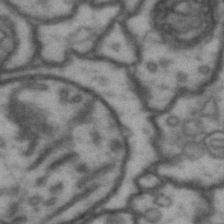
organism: Drosophila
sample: Brain